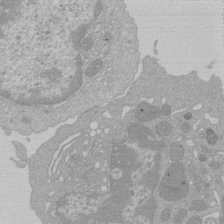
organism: Mouse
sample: Activated Pmel transgenic CD8+ T Cells